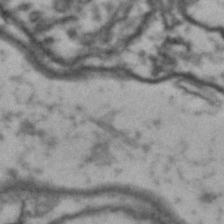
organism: Drosophila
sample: Brain